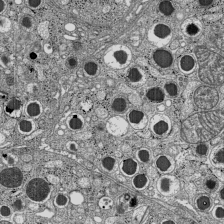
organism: C57BL Mouse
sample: Pancreatic islet